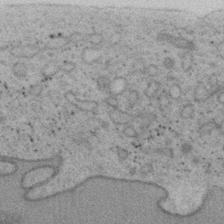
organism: Human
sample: HeLa cells